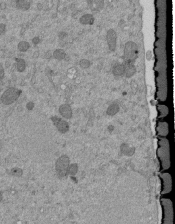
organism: Mouse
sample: ED-1 cell nuclei; centrioles